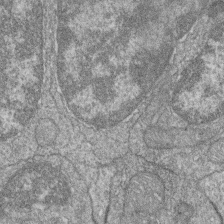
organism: Zebrafish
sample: Cilia; retinal pigment epithelium